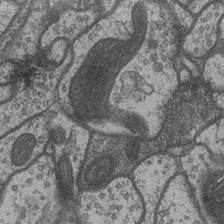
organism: Drosophila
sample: Optic medulla